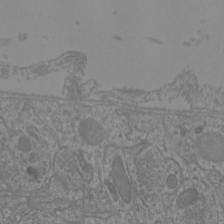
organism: Mouse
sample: Cortical neurons